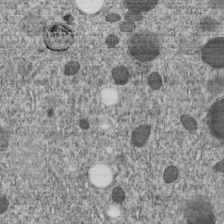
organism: C. elegans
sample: C. elegans embryo early stage